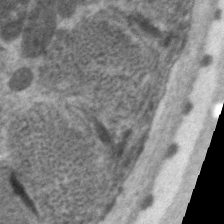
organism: C. elegans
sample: Pharynx